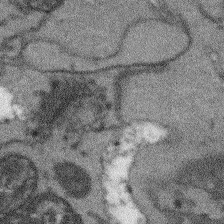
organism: Arabidopsis thaliana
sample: Root tip